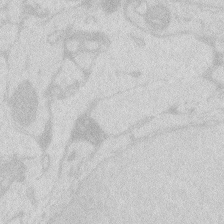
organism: Zebrafish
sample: Macrophage